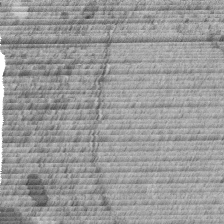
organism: C. elegans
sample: C. elegans embryo early stage